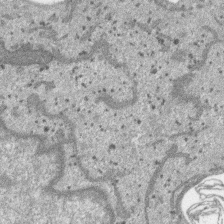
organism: Human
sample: Lung epithelial cells infected with SARS-CoV-2